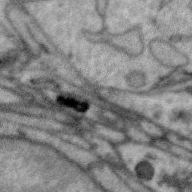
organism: Zebra finch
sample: Brain